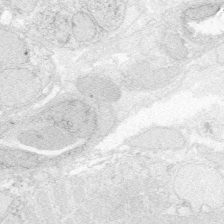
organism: Zebrafish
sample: Whole-Brain